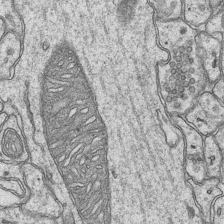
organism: Mouse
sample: CA1 Hippocampus